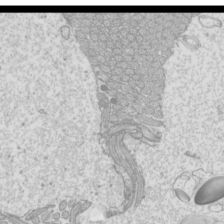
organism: Mouse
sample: Cilia; mouse epididymis